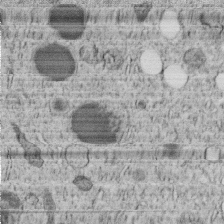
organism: C. elegans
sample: C. elegans embryo early stage